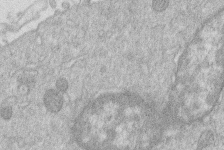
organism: Human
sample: Macrophage cells